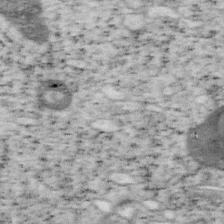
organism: Mouse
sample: OT-I killer T cells with ID8 ovarian cancer cells